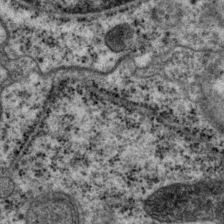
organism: P. pacificus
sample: Pharynx